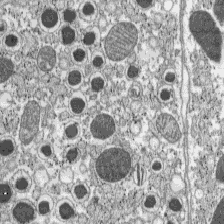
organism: C57BL Mouse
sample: Pancreatic islet